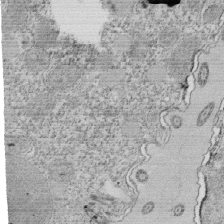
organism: Tetrahymena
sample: Cilia in tetrahymena